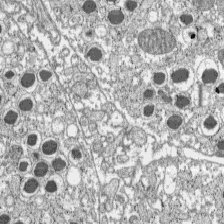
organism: C57BL Mouse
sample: Pancreatic islet